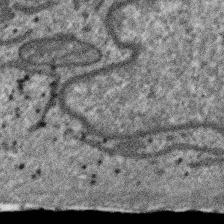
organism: Human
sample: Lung epithelial cells infected with SARS-CoV-2